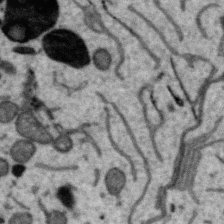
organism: Zebra finch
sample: Brain